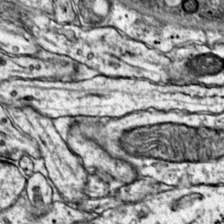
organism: Mouse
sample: Primary visual cortex